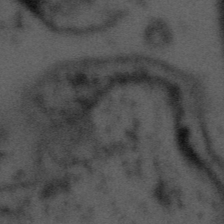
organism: Tuwongella immobilis